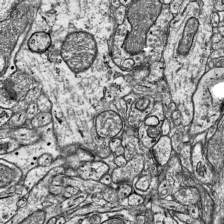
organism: Mouse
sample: Visual Cortex